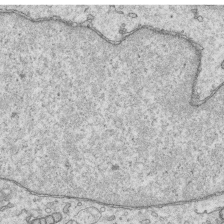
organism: Human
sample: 1205lu cells